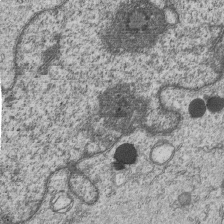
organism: Human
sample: MDA-MB-231 cells